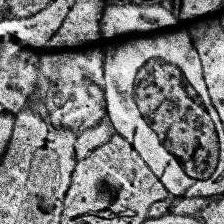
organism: Human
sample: Temporal Lobe